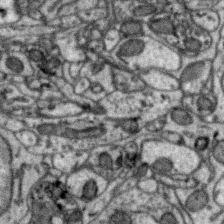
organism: Zebra finch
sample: Brain